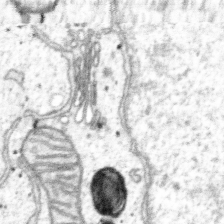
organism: Human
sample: HeLa cells